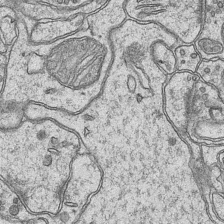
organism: Mouse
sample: CA1 Hippocampus